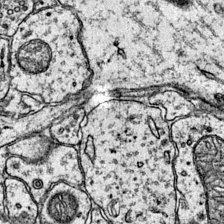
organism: Mouse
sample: Primary visual cortex